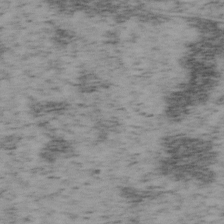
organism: Mouse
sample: OT-I killer T cells with ID8 ovarian cancer cells